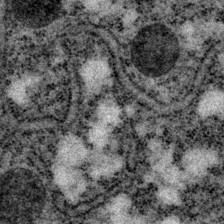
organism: P. pacificus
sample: Pharynx